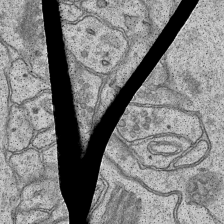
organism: Mouse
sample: CA1 Hippocampus